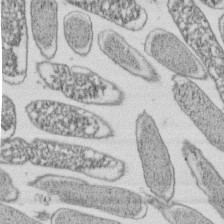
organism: E. coli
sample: Bacterial nucleoid